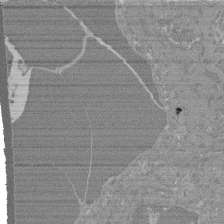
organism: Mouse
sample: Glomerulus